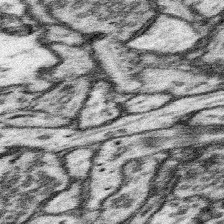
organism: Mouse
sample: Somatosensory cortex neuropil